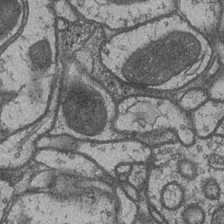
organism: Drosophila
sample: Optic medulla